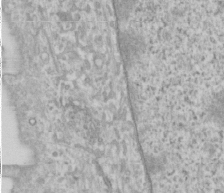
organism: Human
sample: Cilia; basal body in RPE cells